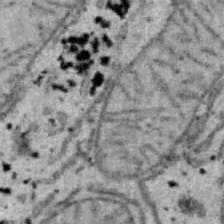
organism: Mouse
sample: Liver from an obese (ob/ob) mouse